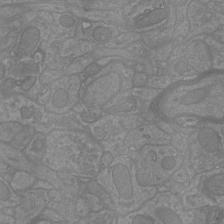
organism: Mouse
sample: Cortical neurons